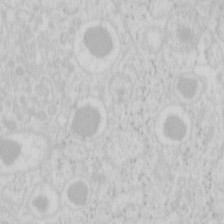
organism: Mouse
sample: Pancreas